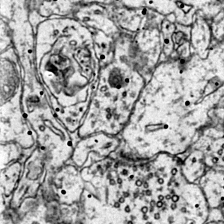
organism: Mouse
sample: Primary visual cortex